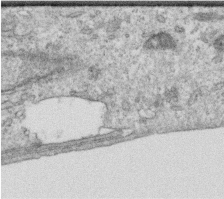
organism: Human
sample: Centriole in RPE cells